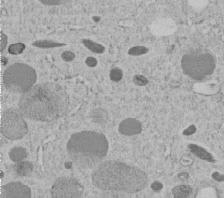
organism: C. elegans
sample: C. elegans embryo early stage